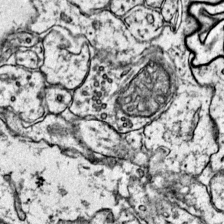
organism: Mouse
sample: Primary visual cortex